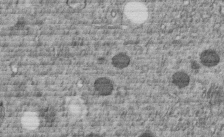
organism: C. elegans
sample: C. elegans embryo early stage